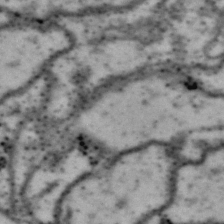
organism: Drosophila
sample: Brain